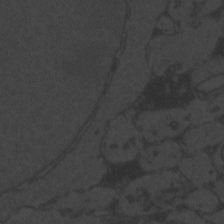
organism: Zebrafish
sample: Macrophage infected with Toxoplasma gondii